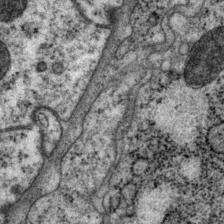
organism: P. pacificus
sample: Pharynx